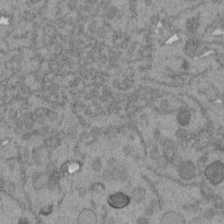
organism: C. elegans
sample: C. elegans embryo early stage